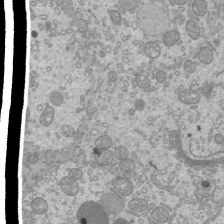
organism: Mouse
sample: Cilia; mouse epididymis